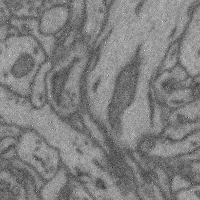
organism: Mouse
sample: Cerebral cortex